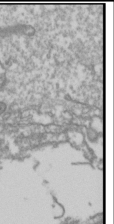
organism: Drosophila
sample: Cell division; meiosis; drosophila spermatocytes